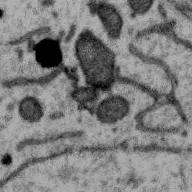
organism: Zebra finch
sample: Brain